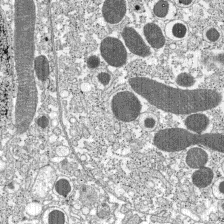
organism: C57BL Mouse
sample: Pancreatic islet